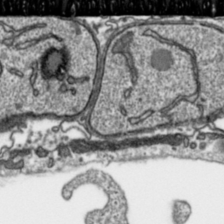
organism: Toxoplasma gondii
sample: Parasites in a vacuole inside a host cell